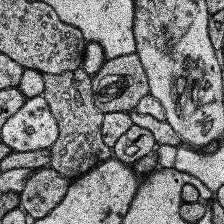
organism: Human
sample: Temporal Lobe